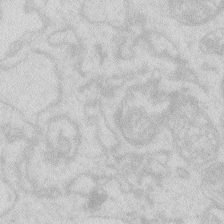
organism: Zebrafish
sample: Macrophage